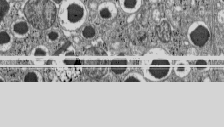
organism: C57BL Mouse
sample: Pancreatic islet